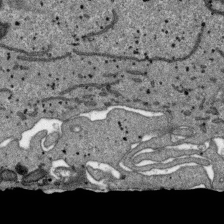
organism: Human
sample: Lung epithelial cells, uninfected (mock) control